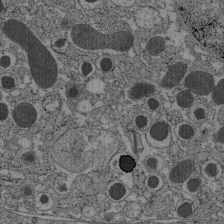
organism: C57BL Mouse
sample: Pancreatic islet